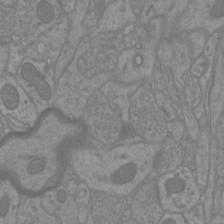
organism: Mouse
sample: Cortical neurons